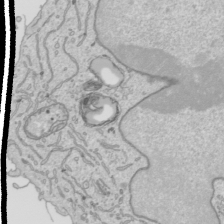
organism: Human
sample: Mitochondria in HCT116 cells